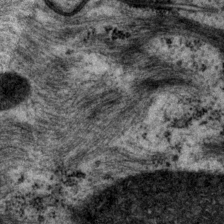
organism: P. pacificus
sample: Pharynx